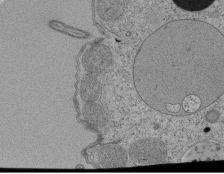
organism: Tetrahymena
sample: Cilia in tetrahymena